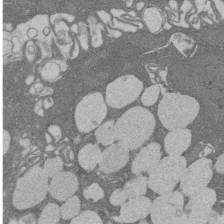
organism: Rat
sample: Salivary granule